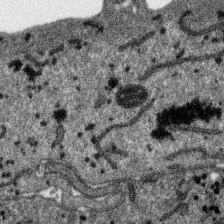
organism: Human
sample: Lung epithelial cells infected with SARS-CoV-2